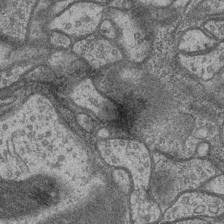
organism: Drosophila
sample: Optic medulla